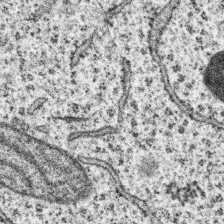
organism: Human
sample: HeLa cells